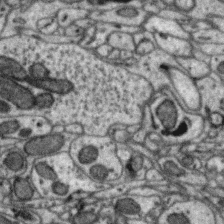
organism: Zebra finch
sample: Brain